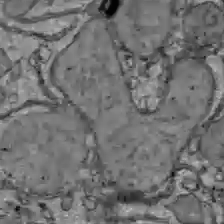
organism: C57BL Mouse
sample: Liver